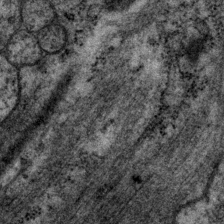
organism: P. pacificus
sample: Pharynx